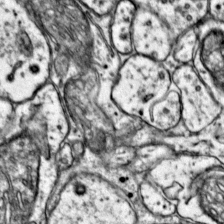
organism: Mouse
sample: Primary visual cortex